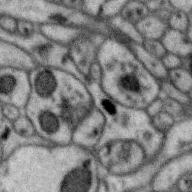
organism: Zebra finch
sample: Brain